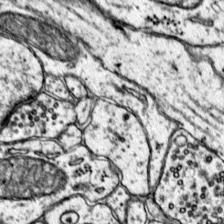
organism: Mouse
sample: Primary visual cortex